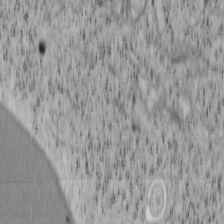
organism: Human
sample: HeLa cells